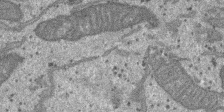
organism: Human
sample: Lung epithelial cells infected with SARS-CoV-2